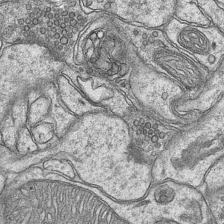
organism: Mouse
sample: CA1 Hippocampus